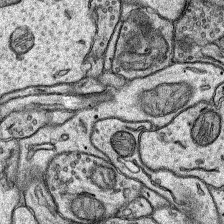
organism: Rat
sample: Hippocampus